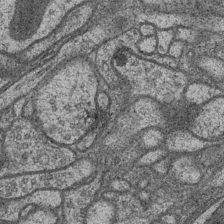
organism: Drosophila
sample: Optic medulla